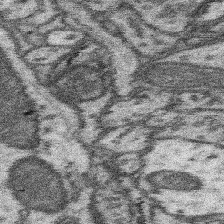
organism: Mouse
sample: Somatosensory cortex neuropil